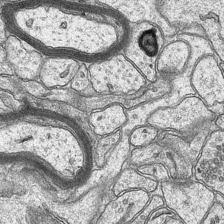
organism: Mouse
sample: CA1 Hippocampus